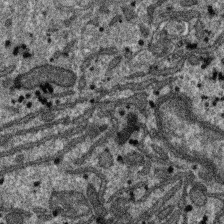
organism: Human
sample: Lung epithelial cells infected with SARS-CoV-2